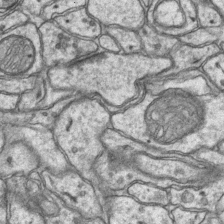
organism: Mouse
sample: CA1 Hippocampus